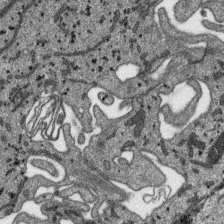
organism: Human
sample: Lung epithelial cells infected with SARS-CoV-2